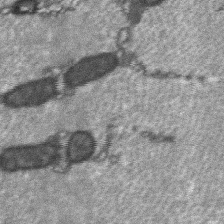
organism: C57BL Mouse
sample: Soleus